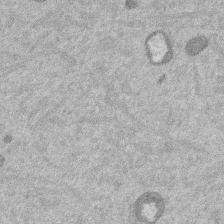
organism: Mouse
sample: Dividing mouse embryo 1 cell stage